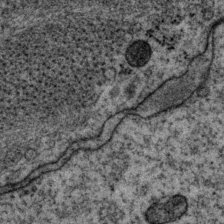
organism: P. pacificus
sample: Pharynx